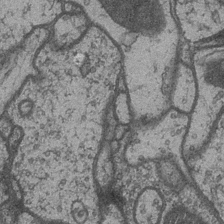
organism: Drosophila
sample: Optic medulla